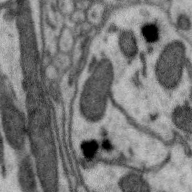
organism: Zebra finch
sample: Brain